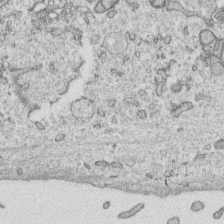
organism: Human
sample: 1205lu cells